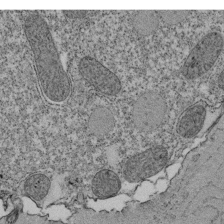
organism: Tetrahymena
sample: Cilia in tetrahymena